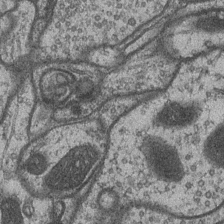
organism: Drosophila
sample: Optic medulla